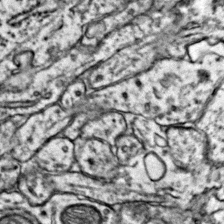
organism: Mouse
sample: Primary visual cortex